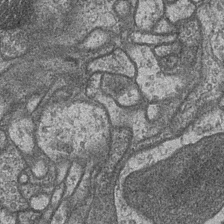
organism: Drosophila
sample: Optic medulla